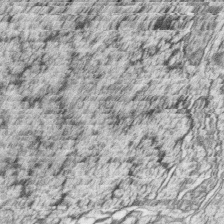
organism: Zebrafish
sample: synaptic ribbons in rod cells and cone cells